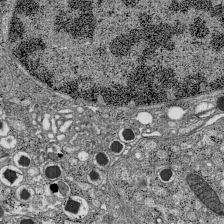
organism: C57BL Mouse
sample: Pancreatic islet